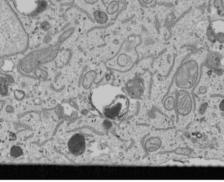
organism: Human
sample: Mitochondria in U2OS cells